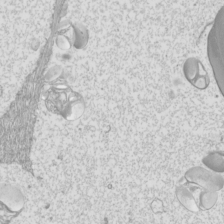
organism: Mouse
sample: Cilia; mouse epididymis